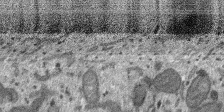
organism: Human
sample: Lung epithelial cells infected with SARS-CoV-2